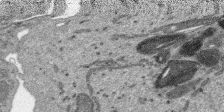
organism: Human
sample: Lung epithelial cells infected with SARS-CoV-2